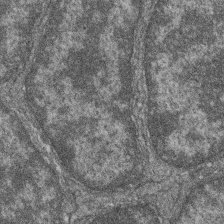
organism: Zebrafish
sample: Cilia; retinal pigment epithelium